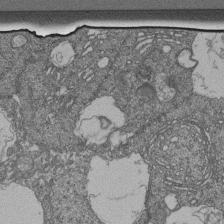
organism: Human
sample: Retinal organoid Rod and Cone cells